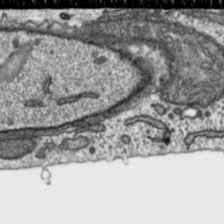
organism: Toxoplasma gondii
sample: Parasites in a vacuole inside a host cell